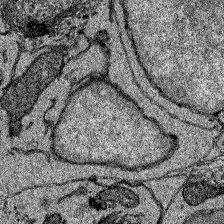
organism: Zebrafish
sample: Larval olfactory bulb